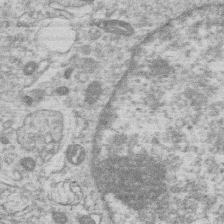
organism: Human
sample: Macrophage cells